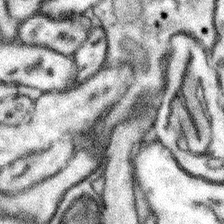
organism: Mouse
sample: Somatosensory cortex neuropil